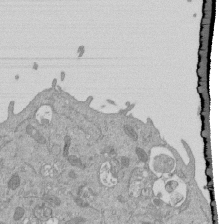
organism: Mouse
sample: ED-1 cell nuclei; centrioles